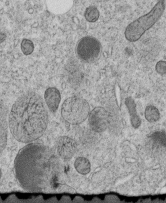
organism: C. elegans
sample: C. elegans embryo early stage